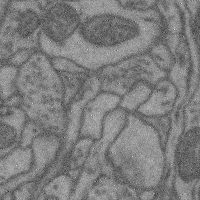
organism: Mouse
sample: Cerebral cortex